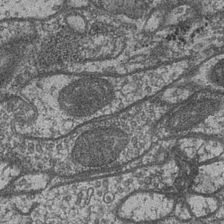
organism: Drosophila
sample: Optic medulla